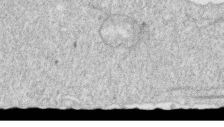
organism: Human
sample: HeLa cell HIV synapse